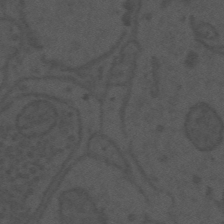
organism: Mouse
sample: Suprachiasmatic nucleus